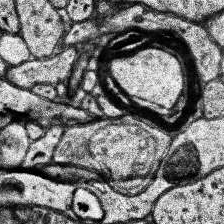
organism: Human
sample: Temporal Lobe